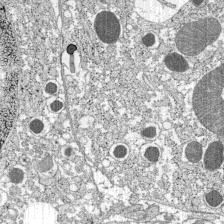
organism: C57BL Mouse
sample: Pancreatic islet